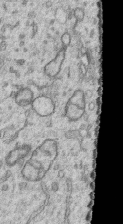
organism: Human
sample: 1205lu cells